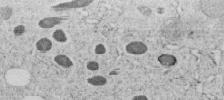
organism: C. elegans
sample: C. elegans embryo early stage